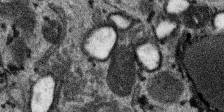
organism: Human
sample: Lung epithelial cells infected with SARS-CoV-2